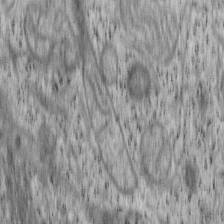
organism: Human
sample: HeLa cells